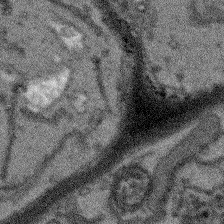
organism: Arabidopsis thaliana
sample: Root tip